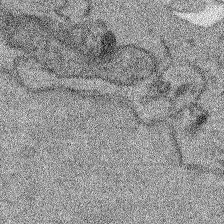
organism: Human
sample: HeLa cells